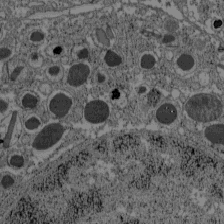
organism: C57BL Mouse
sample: Pancreatic islet